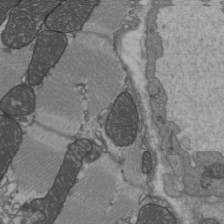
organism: C57BL Mouse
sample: Heart